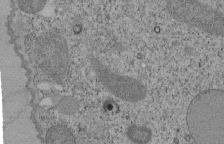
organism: Tetrahymena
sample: Cilia in tetrahymena